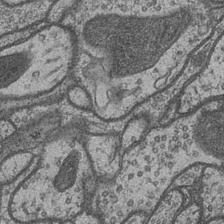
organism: Drosophila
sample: Optic medulla